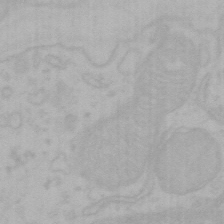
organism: Mouse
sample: Choroid plexus